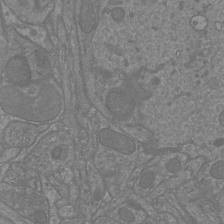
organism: Mouse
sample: Cortical neurons